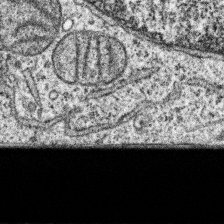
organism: Human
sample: HeLa cells